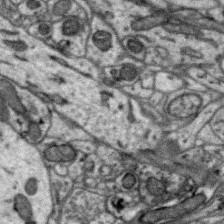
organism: Zebra finch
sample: Brain